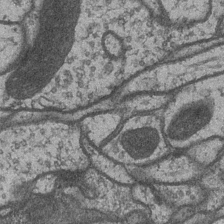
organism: Drosophila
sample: Optic medulla